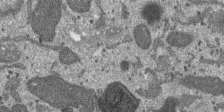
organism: Human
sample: Lung epithelial cells infected with SARS-CoV-2